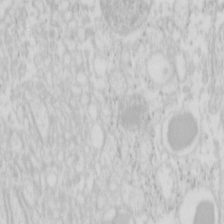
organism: Mouse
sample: Pancreas